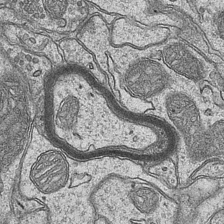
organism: Mouse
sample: CA1 Hippocampus